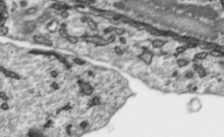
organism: Toxoplasma gondii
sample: Parasites in a vacuole inside a host cell